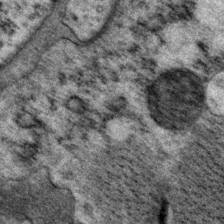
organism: P. pacificus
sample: Pharynx